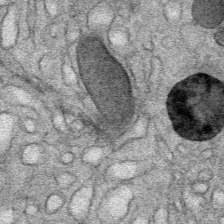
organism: Mouse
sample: Mouse Salivary gland